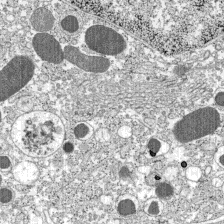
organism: C57BL Mouse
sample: Pancreatic islet